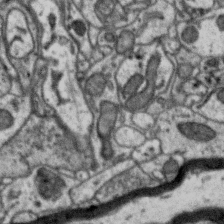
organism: Zebra finch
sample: Brain